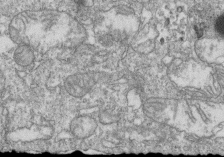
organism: Human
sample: HeLa cell HIV synapse